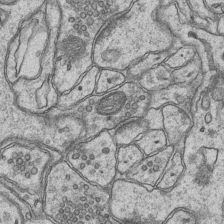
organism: Mouse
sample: CA1 Hippocampus